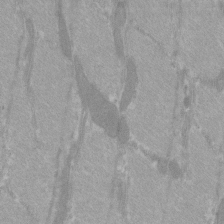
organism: C57BL Mouse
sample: Tibialis anterior muscle cell